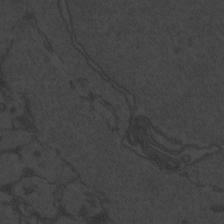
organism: Zebrafish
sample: Macrophage infected with Toxoplasma gondii